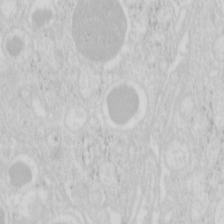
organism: Mouse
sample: Pancreas